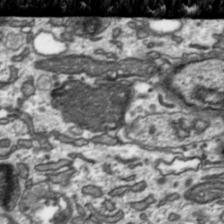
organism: Toxoplasma gondii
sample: Parasites in a vacuole inside a host cell